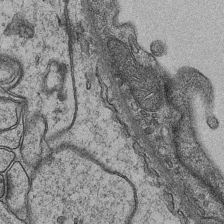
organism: Mouse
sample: CA1 Hippocampus